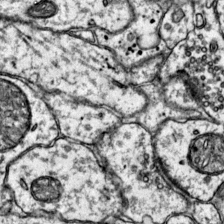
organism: Mouse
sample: Primary visual cortex